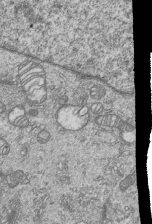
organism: Human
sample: MDA-MB-231 cells